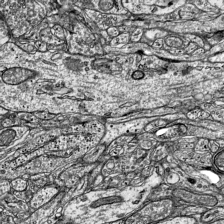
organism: Mouse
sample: Visual Cortex